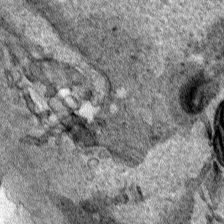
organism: Human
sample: Mitochondria in HCT116 cells